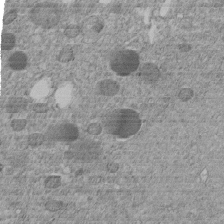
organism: C. elegans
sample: C. elegans embryo early stage